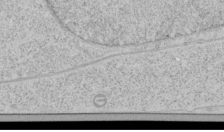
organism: Human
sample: Mitochondria in HCT116 cells